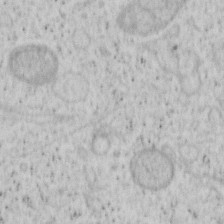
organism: Human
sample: HeLa cells